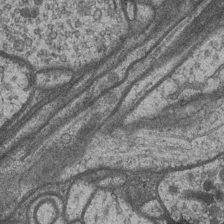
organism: Drosophila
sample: Optic medulla